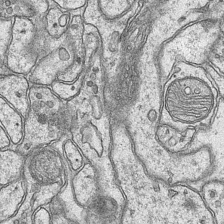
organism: Mouse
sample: CA1 Hippocampus